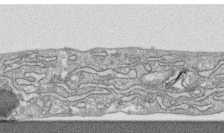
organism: Human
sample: CRL-1474